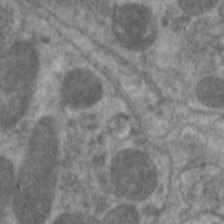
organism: C. elegans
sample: Pharynx